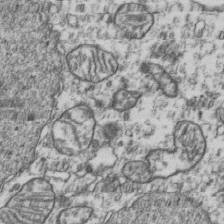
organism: Human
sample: Activated Jurkat CD4+ T cells